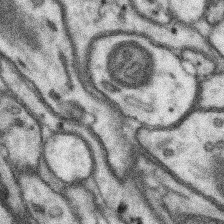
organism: Mouse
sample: Somatosensory cortex neuropil